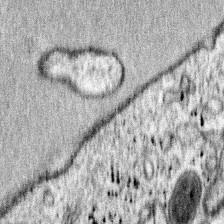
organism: Human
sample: HeLa cells